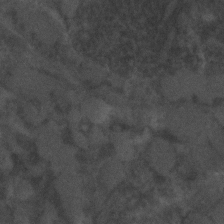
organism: C. elegans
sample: C. elegans embryo